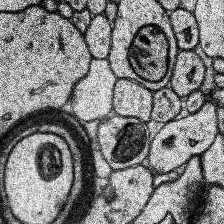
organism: Human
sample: Temporal Lobe